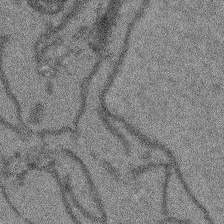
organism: Arabidopsis thaliana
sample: Root tip